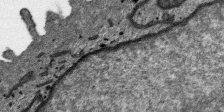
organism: Human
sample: Lung epithelial cells, uninfected (mock) control